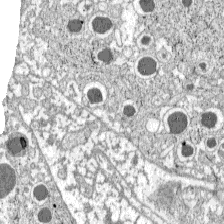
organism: C57BL Mouse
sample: Pancreatic islet